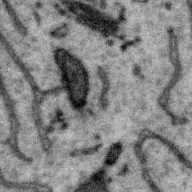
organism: Zebra finch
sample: Brain